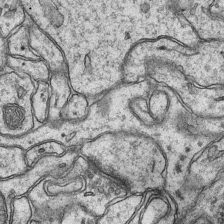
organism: Mouse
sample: CA1 Hippocampus